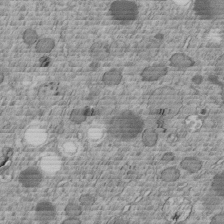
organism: C. elegans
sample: C. elegans embryo early stage